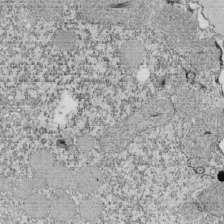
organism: Tetrahymena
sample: Cilia in tetrahymena